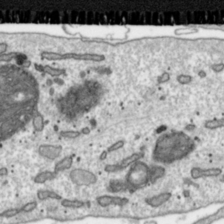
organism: Toxoplasma gondii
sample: Parasites in a vacuole inside a host cell